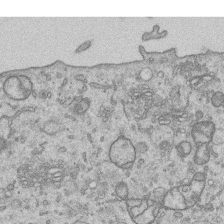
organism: Human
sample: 1205lu cells